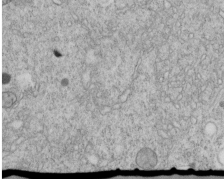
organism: C. elegans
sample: C. elegans embryo early stage